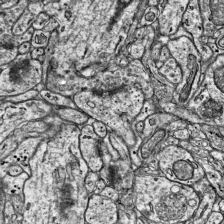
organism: Mouse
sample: Visual Cortex